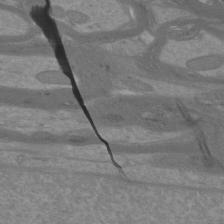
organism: Mouse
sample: Cortical neurons